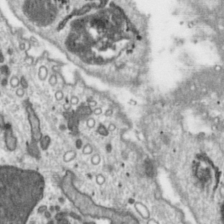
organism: Toxoplasma gondii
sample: Parasites in a vacuole inside a host cell